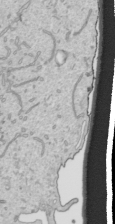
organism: Human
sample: Mitochondria in HCT116 cells